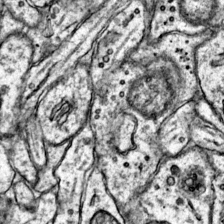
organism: Mouse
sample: Primary visual cortex